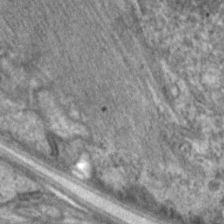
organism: C. elegans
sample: Pharynx